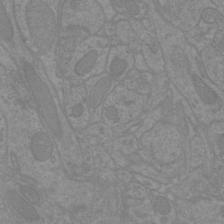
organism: Mouse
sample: Cortical neurons